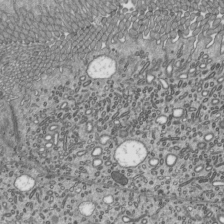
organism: Mouse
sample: Mouse epididymis efferent ductule cilia